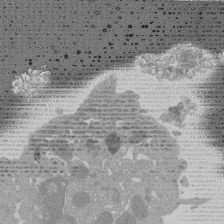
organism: Mouse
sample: Activated Pmel transgenic CD8+ T Cells